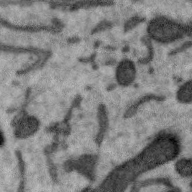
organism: Zebra finch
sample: Brain